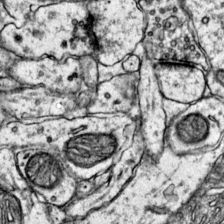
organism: Mouse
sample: Primary visual cortex